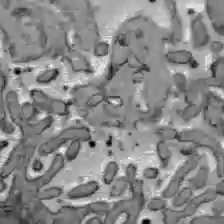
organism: C57BL Mouse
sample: Liver